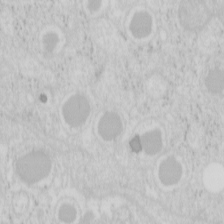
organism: Mouse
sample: Pancreas